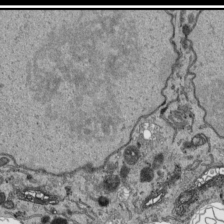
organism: Human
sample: Mitochondria in HCT116 cells